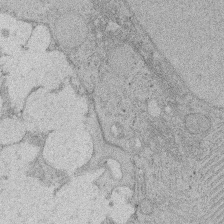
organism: Rat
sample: Salivary granule